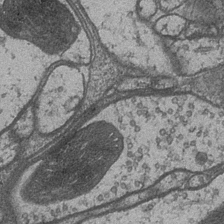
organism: Drosophila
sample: Optic medulla